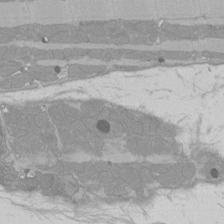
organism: Rat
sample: Left ventricle